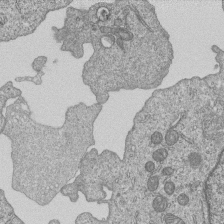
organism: Human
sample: MDA-MB-231 cells